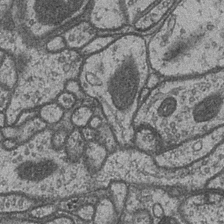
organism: Drosophila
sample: Optic medulla